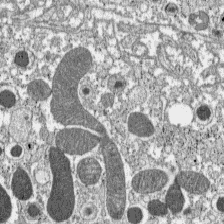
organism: C57BL Mouse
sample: Pancreatic islet